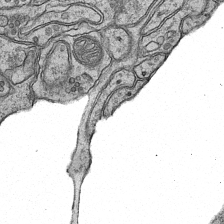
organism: Mouse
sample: CA1 Hippocampus